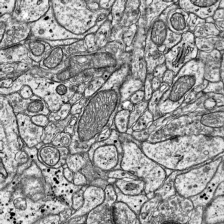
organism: Mouse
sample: Visual Cortex